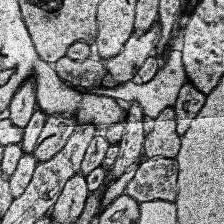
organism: Human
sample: Temporal Lobe